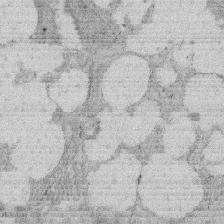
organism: Rat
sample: Salivary granule